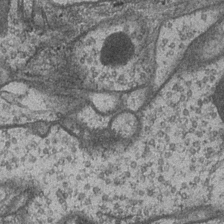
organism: Drosophila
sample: Optic medulla